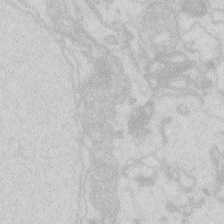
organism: Zebrafish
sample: Macrophage